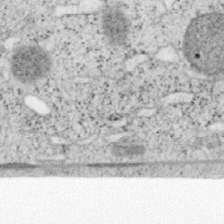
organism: Mouse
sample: OT-I killer T cells with ID8 ovarian cancer cells